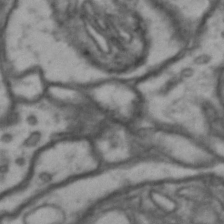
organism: Drosophila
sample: Brain